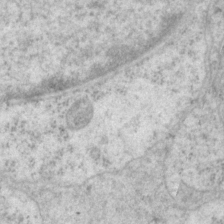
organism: P. pacificus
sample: Pharynx